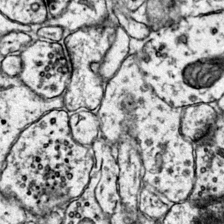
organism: Mouse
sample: Primary visual cortex